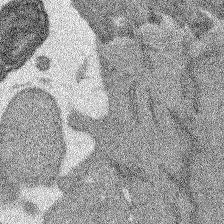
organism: Human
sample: HeLa cells